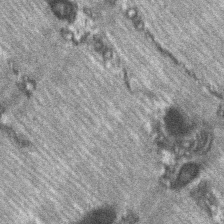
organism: C57BL Mouse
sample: Soleus